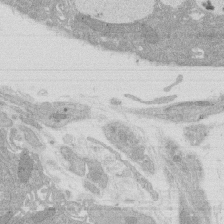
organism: Rat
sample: Salivary granule